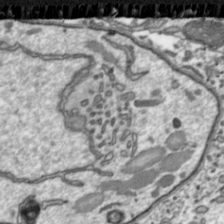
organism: Toxoplasma gondii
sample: Parasites in a vacuole inside a host cell